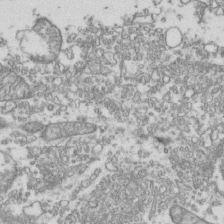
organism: Human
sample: Activated Jurkat CD4+ T cells